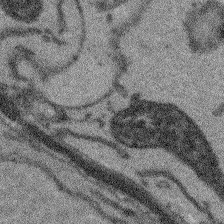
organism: Arabidopsis thaliana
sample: Root tip